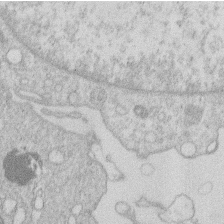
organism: Human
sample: Macrophage cells